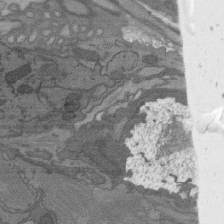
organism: C. elegans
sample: AFD neurons C. elegans